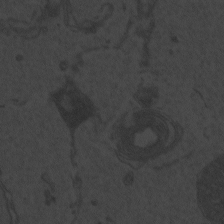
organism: Zebrafish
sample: Macrophage infected with Toxoplasma gondii